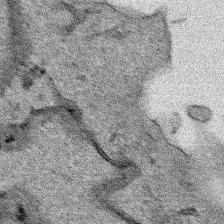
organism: Human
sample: Mitochondria in HCT116 cells